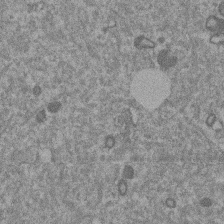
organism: Mouse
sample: Dividing mouse embryo 1 cell stage